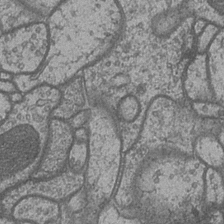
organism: Drosophila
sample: Optic medulla